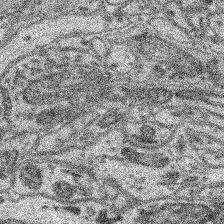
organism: Mouse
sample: Retina